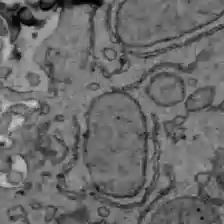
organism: C57BL Mouse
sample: Liver